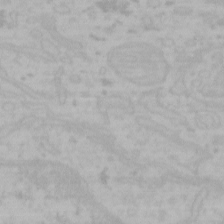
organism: Mouse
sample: Choroid plexus